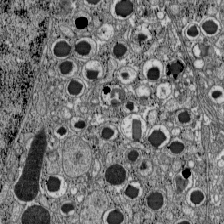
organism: C57BL Mouse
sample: Pancreatic islet